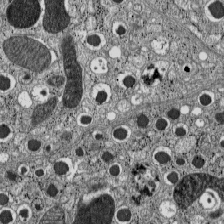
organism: C57BL Mouse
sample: Pancreatic islet